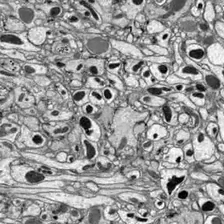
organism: Drosophila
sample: Optic lobe